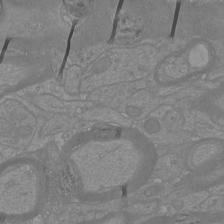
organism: Mouse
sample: Cortical neurons